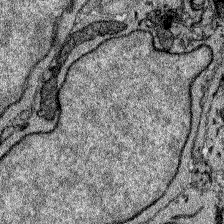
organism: Zebrafish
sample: Larval olfactory bulb